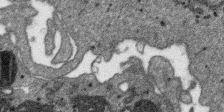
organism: Human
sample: Lung epithelial cells infected with SARS-CoV-2